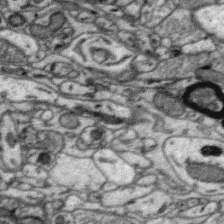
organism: Zebra finch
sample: Brain